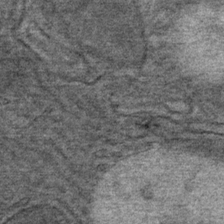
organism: Mouse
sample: Mouse Salivary gland